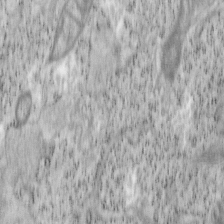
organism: Human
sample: HeLa cells